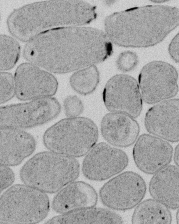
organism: E. coli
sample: Bacterial nucleoid